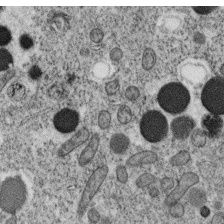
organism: C. elegans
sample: C. elegans oocyte; sperm cells